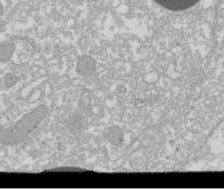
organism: Xenopus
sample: Cilia; centrioles in frog embryo cells